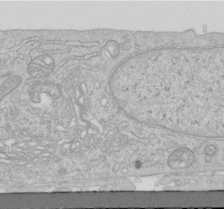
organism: Human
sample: Centriole in RPE cells